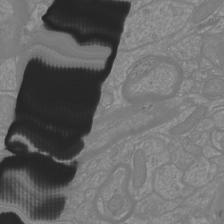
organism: Mouse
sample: Cortical neurons